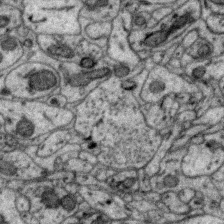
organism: Zebra finch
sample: Brain